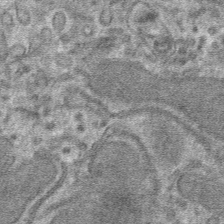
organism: Mouse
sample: Mouse hepatocytes